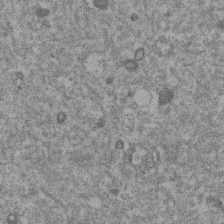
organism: Mouse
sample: Dividing mouse embryo 1 cell stage